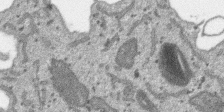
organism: Human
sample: Lung epithelial cells infected with SARS-CoV-2